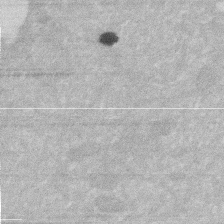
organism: Human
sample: HIV infected U937 cells